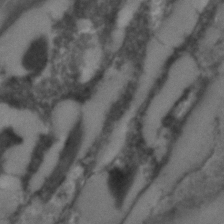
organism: C. elegans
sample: C. elegans embryo